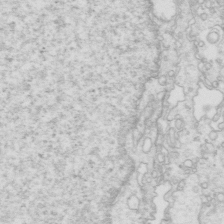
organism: Mouse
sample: Multiciliated cells